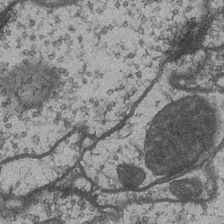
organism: Drosophila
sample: Optic medulla